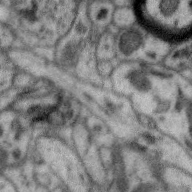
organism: Zebra finch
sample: Brain